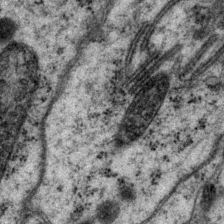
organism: P. pacificus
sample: Pharynx